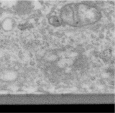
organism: Human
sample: Centriole in RPE cells